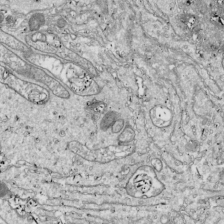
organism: Drosophila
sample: Cell division; meiosis; drosophila spermatocytes